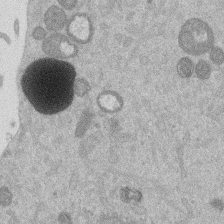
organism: Mouse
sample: Dividing mouse embryo 1 cell stage